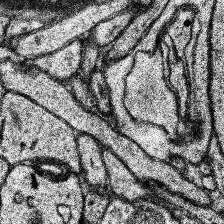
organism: Human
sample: Temporal Lobe